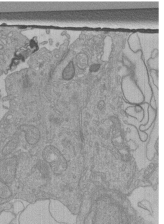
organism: Human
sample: Retinal organoid Rod and Cone cells